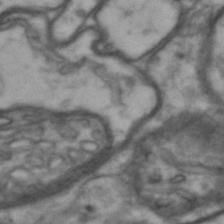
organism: Drosophila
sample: Brain